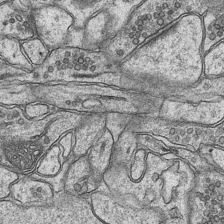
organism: Mouse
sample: CA1 Hippocampus